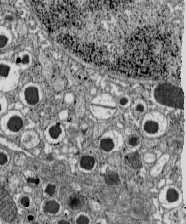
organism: C57BL Mouse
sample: Pancreatic islet